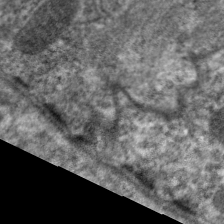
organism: C. elegans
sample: Pharynx